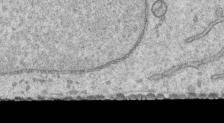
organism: Human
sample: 1205lu cells